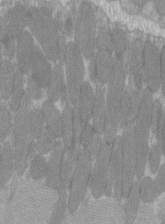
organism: C57BL Mouse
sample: Tibialis anterior muscle cell